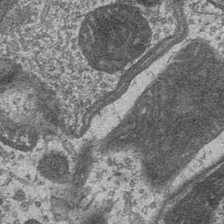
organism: Drosophila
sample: Optic medulla